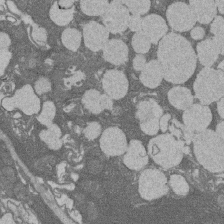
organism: Rat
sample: Salivary granule